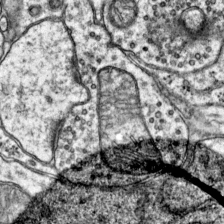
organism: Mouse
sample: Primary visual cortex